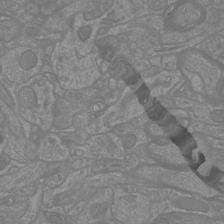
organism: Mouse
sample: Cortical neurons